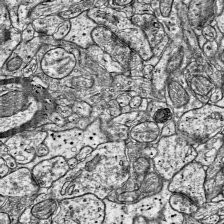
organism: Mouse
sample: Visual Cortex